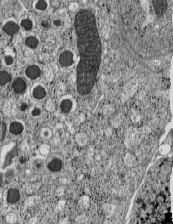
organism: C57BL Mouse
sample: Pancreatic islet